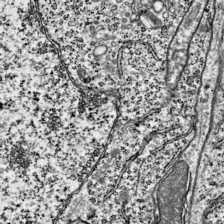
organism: Mouse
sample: Visual Cortex